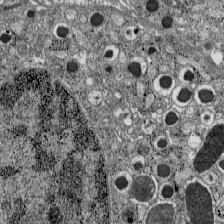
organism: C57BL Mouse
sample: Pancreatic islet